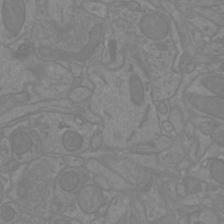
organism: Mouse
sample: Cortical neurons